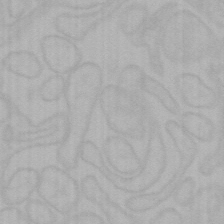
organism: Mouse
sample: Choroid plexus